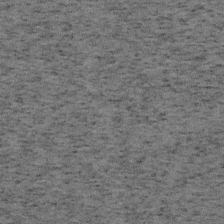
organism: Mouse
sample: OT-I killer T cells with ID8 ovarian cancer cells